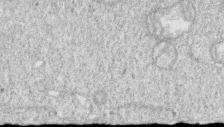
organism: Human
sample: HeLa cell HIV synapse